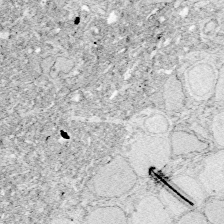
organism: Zebrafish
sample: Whole-Brain